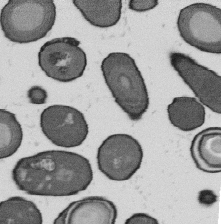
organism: B. subtilis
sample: Bacterial spore